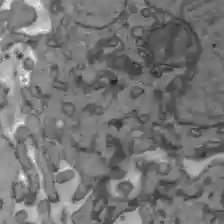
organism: C57BL Mouse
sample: Liver